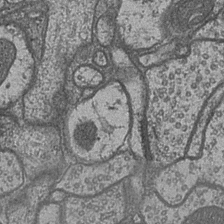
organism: Drosophila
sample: Optic medulla